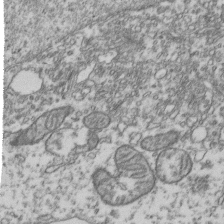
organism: Human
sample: Activated Jurkat CD4+ T cells